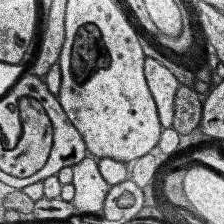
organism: Human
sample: Temporal Lobe